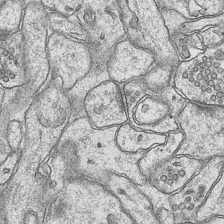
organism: Mouse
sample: CA1 Hippocampus